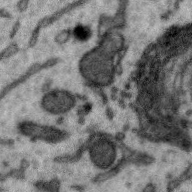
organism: Zebra finch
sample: Brain